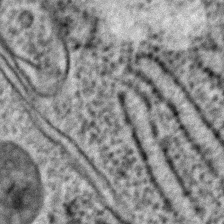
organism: C. elegans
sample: C. elegans embryo